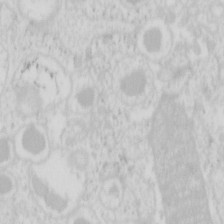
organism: Mouse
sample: Pancreas